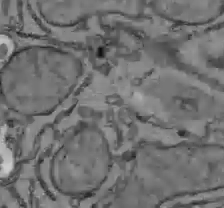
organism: C57BL Mouse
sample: Liver